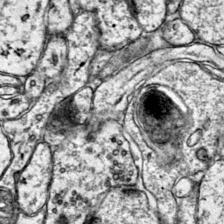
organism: Mouse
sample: Primary visual cortex